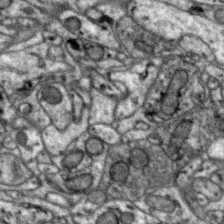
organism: Zebra finch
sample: Brain